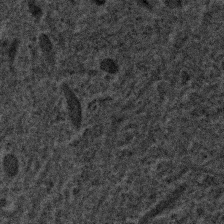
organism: Human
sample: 1205lu cells